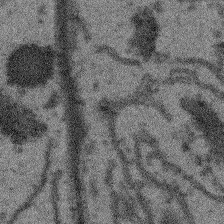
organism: Arabidopsis thaliana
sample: Root tip